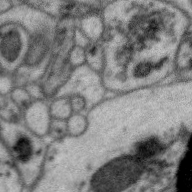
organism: Zebra finch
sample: Brain